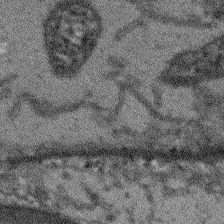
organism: Arabidopsis thaliana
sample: Root tip